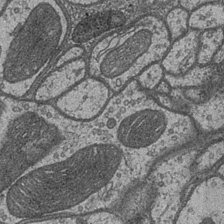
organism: Drosophila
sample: Optic medulla